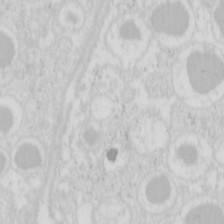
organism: Mouse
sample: Pancreas